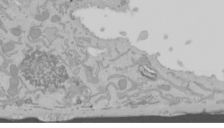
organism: Mouse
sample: Cancer cell death in ED-1 cells